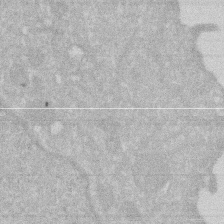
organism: Human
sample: HIV infected U937 cells